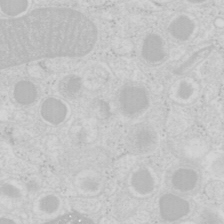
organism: Mouse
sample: Pancreas